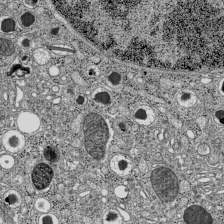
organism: C57BL Mouse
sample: Pancreatic islet